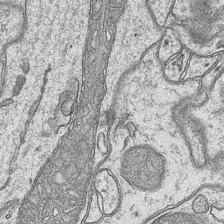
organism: Mouse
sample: CA1 Hippocampus